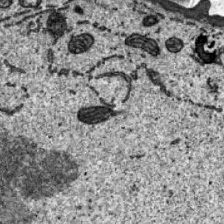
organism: Human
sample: HeLa cells